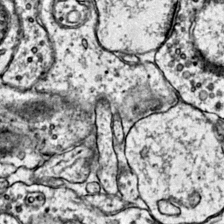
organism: Mouse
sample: Primary visual cortex